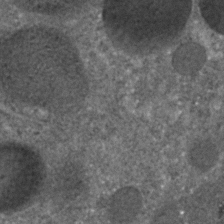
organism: C. elegans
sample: C. elegans embryo